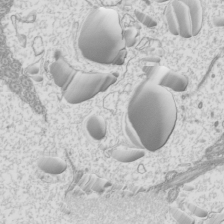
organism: Mouse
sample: Cilia; mouse epididymis